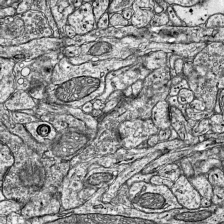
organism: Mouse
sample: Visual Cortex